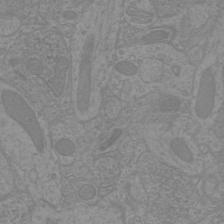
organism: Mouse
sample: Cortical neurons